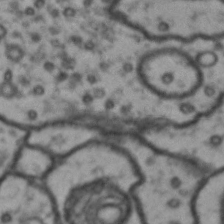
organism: Drosophila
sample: Brain